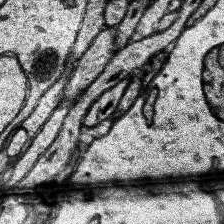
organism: Human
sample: Temporal Lobe